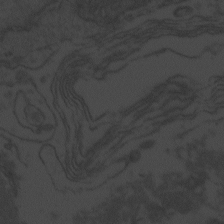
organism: Zebrafish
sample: Macrophage infected with Toxoplasma gondii